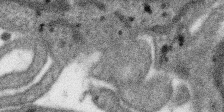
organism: Human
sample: Lung epithelial cells infected with SARS-CoV-2